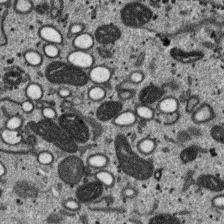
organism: Human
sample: Lung epithelial cells infected with SARS-CoV-2